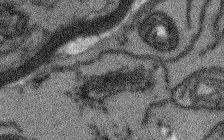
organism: Arabidopsis thaliana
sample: Root tip